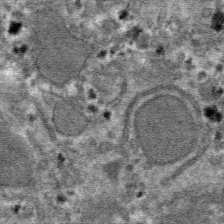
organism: Mouse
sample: Mouse hepatocytes